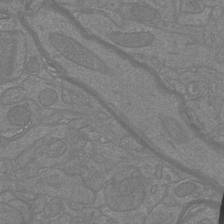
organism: Mouse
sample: Cortical neurons